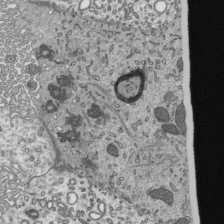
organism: Mouse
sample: Mouse epididymis efferent ductule cilia